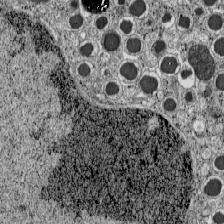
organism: C57BL Mouse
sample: Pancreatic islet